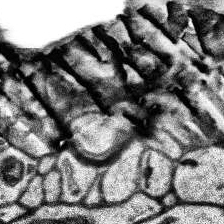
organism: Human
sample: Temporal Lobe